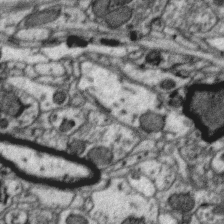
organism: Zebra finch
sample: Brain